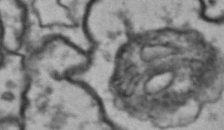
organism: Drosophila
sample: Brain